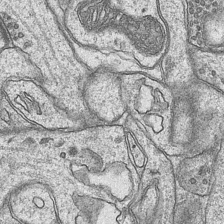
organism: Mouse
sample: CA1 Hippocampus